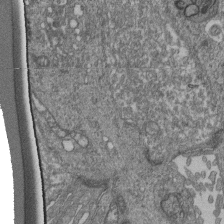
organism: Human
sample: Retinal organoid Rod and Cone cells